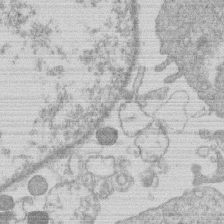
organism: Human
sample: Macrophage cells